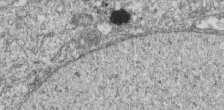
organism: Human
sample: HeLa cell HIV synapse